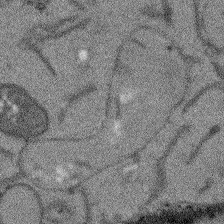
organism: Arabidopsis thaliana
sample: Root tip